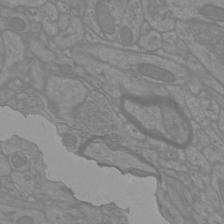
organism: Mouse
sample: Cortical neurons